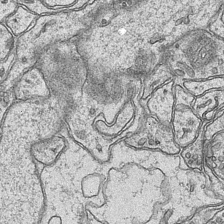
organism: Mouse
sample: CA1 Hippocampus